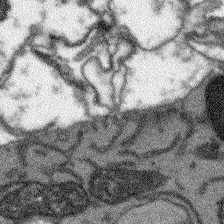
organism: Arabidopsis thaliana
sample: Root tip